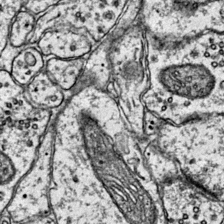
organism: Mouse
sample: Primary visual cortex